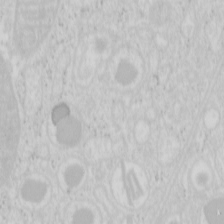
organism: Mouse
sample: Pancreas